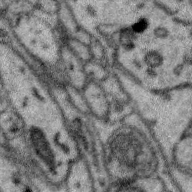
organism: Zebra finch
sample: Brain